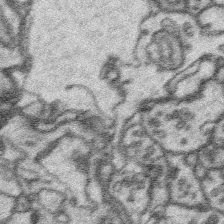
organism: Platynereis dumerilii